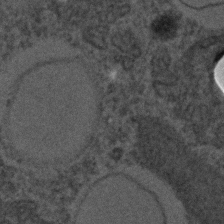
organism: C. elegans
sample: C. elegans embryo